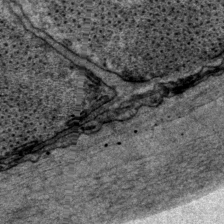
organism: P. pacificus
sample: Pharynx